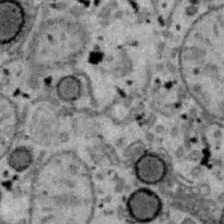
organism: Mouse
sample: Liver from an obese (ob/ob) mouse